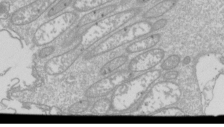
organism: Drosophila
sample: Cell division; meiosis; drosophila spermatocytes